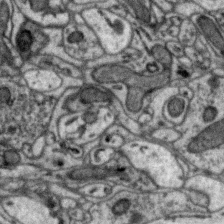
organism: Zebra finch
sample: Brain